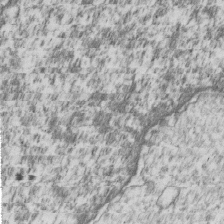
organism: Human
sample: MDA-MB-231 cells